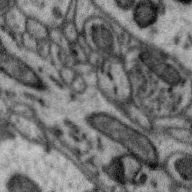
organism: Zebra finch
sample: Brain